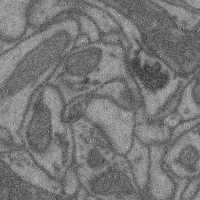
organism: Mouse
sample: Cerebral cortex